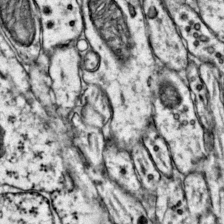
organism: Mouse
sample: Primary visual cortex